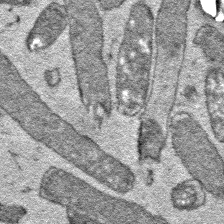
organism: E. coli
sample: E. Coli Bacteria